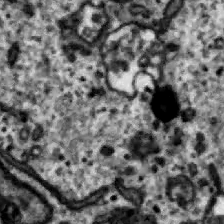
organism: Human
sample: HeLa cells